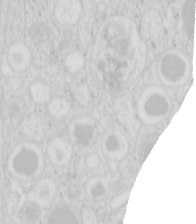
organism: Mouse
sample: Pancreas